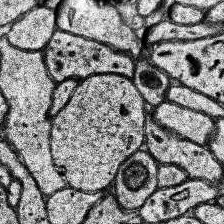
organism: Human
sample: Temporal Lobe